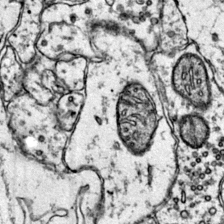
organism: Mouse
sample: Primary visual cortex